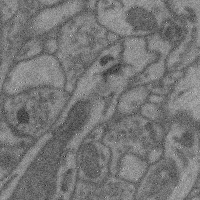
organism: Mouse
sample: Cerebral cortex